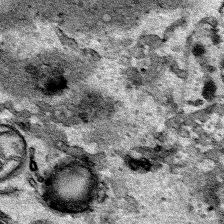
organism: Human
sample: Mitochondria in HCT116 cells